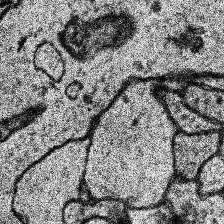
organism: Human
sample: Temporal Lobe